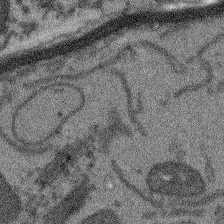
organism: Arabidopsis thaliana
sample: Root tip